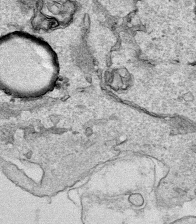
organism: Human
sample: Mitochondria in HCT116 cells